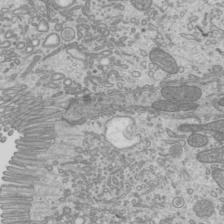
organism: Mouse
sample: Cilia; mouse epididymis